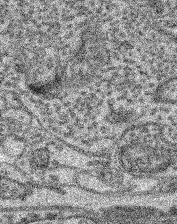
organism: Mouse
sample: Retina